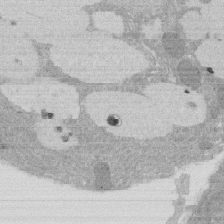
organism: Rat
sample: Salivary granule